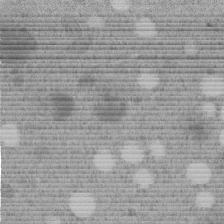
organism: C. elegans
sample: C. elegans embryo early stage